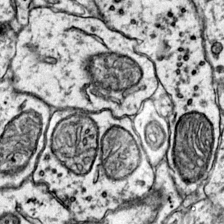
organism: Mouse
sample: Primary visual cortex